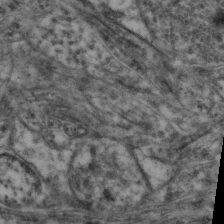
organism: Mouse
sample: Neocortex